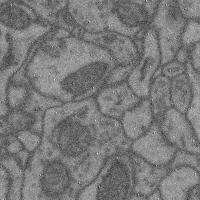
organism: Mouse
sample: Cerebral cortex